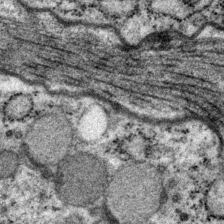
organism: P. pacificus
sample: Pharynx